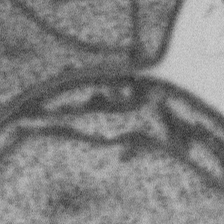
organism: Gemmata obscuriglobus